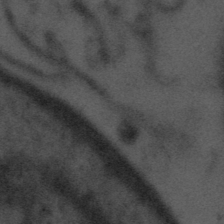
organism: Tuwongella immobilis